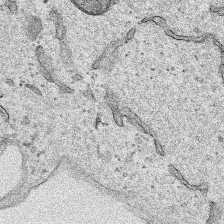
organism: Human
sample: Mitochondria in HCT116 cells